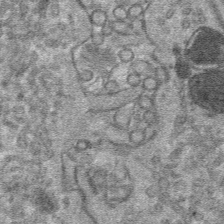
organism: Mouse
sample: Mouse hepatocytes